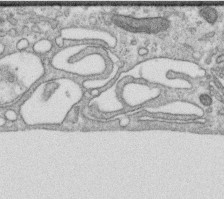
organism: Human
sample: Centriole in RPE cells